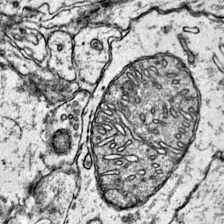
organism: Mouse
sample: Primary visual cortex